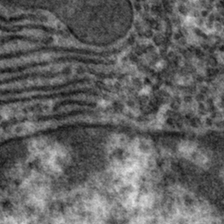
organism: Mouse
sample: Mouse hepatocytes